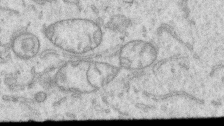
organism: Human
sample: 1205lu cells